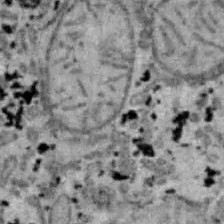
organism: Mouse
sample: Liver from an obese (ob/ob) mouse